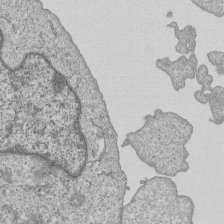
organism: Human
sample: MDA-MB-231 cells